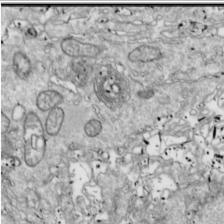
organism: Drosophila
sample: Cell division; meiosis; drosophila spermatocytes